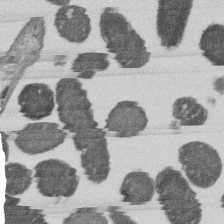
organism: E. coli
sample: Bacterial nucleoid